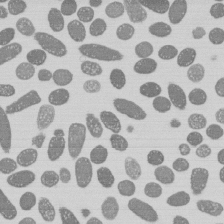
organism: E. coli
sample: Bacterial nucleoid